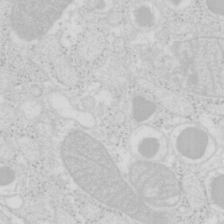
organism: Mouse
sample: Pancreas